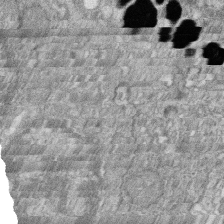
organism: Zebrafish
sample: Cilia; retinal pigment epithelium